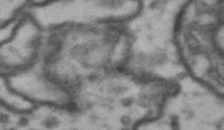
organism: Drosophila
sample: Brain